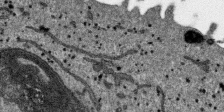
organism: Human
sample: Lung epithelial cells, uninfected (mock) control